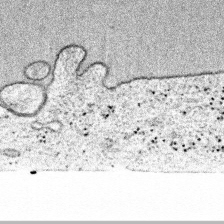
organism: Human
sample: HeLa cells